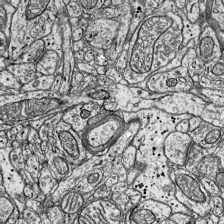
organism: Mouse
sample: Visual Cortex